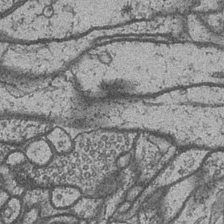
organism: Drosophila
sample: Optic medulla